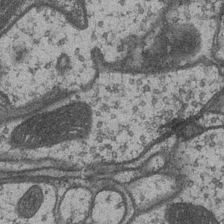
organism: Drosophila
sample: Optic medulla